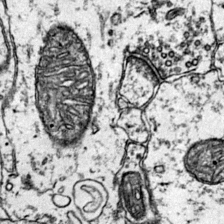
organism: Mouse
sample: Primary visual cortex